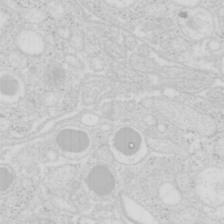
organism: Mouse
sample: Pancreas